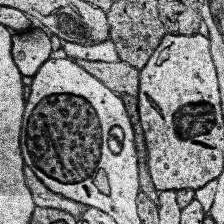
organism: Human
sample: Temporal Lobe